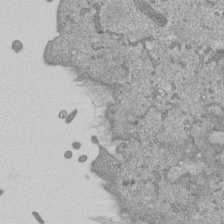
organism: Mouse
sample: ED-1 cell nuclei; centrioles